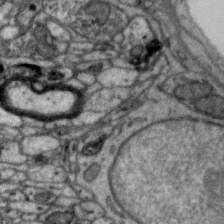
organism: Zebra finch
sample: Brain